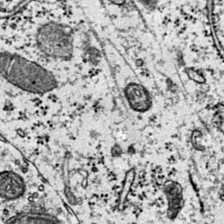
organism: Mouse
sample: Primary visual cortex